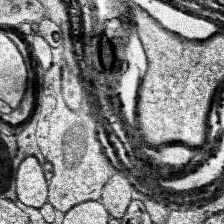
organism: Human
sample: Temporal Lobe